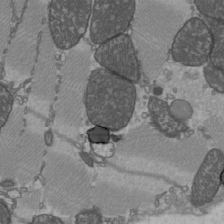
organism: C57BL Mouse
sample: Heart